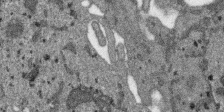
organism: Human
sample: Lung epithelial cells infected with SARS-CoV-2